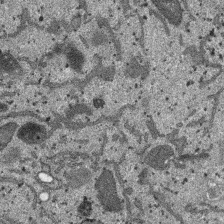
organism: Human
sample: Lung epithelial cells infected with SARS-CoV-2